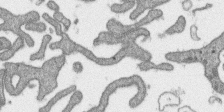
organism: Human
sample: Lung epithelial cells infected with SARS-CoV-2